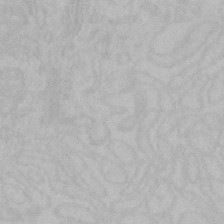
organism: Mouse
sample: Choroid plexus